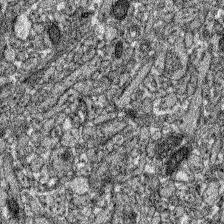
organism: Zebrafish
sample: Larval olfactory bulb